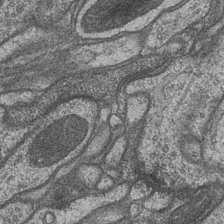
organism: Drosophila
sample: Optic medulla